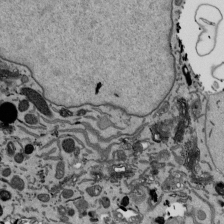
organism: Mouse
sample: ED-1 cell nuclei; centrioles